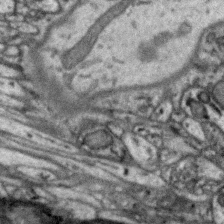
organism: Zebra finch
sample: Brain